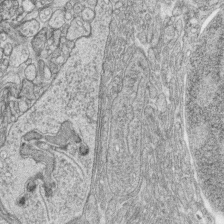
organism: Zebrafish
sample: synaptic ribbons in rod cells and cone cells